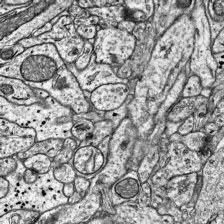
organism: Mouse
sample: Visual Cortex